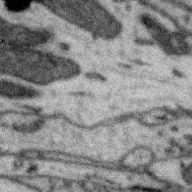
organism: Zebra finch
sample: Brain